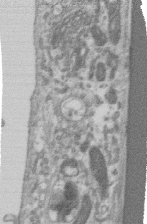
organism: Human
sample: Centriole in RPE cells